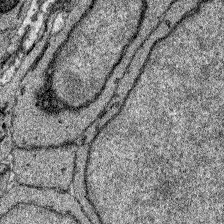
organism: Zebrafish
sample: Larval olfactory bulb